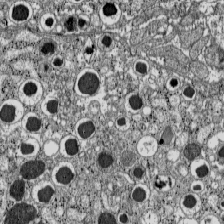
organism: C57BL Mouse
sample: Pancreatic islet